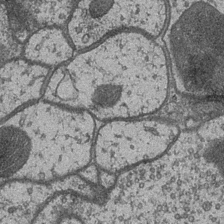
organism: Drosophila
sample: Optic medulla